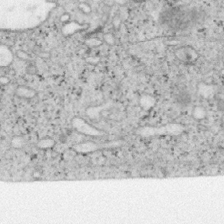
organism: Mouse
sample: OT-I killer T cells with ID8 ovarian cancer cells